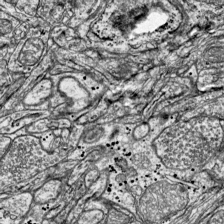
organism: Mouse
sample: Visual Cortex